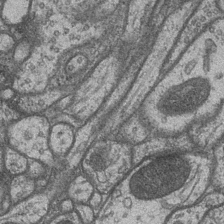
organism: Drosophila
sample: Optic medulla